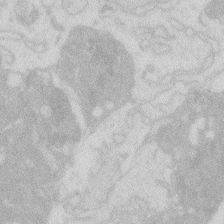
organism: Zebrafish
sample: Macrophage